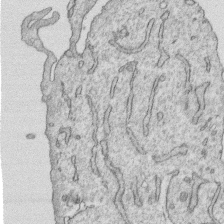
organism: Human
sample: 1205lu cells